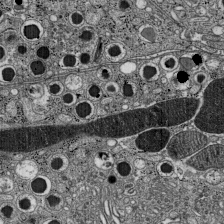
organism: C57BL Mouse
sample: Pancreatic islet